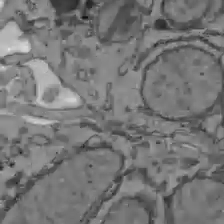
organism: C57BL Mouse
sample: Liver